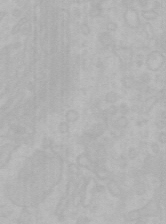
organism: Mouse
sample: Choroid plexus